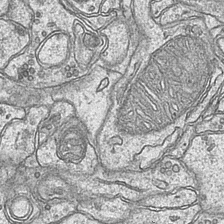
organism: Mouse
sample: CA1 Hippocampus